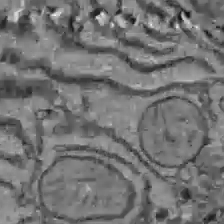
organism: C57BL Mouse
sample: Liver